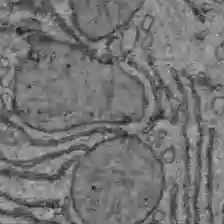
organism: C57BL Mouse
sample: Liver